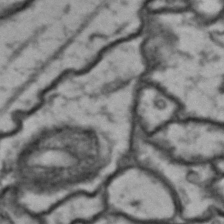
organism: Drosophila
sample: Brain